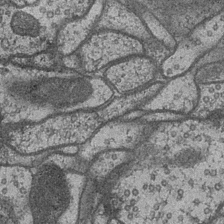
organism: Drosophila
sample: Optic medulla